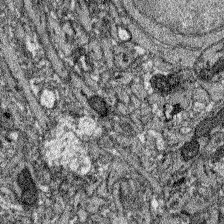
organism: Zebrafish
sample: Larval olfactory bulb